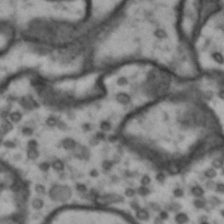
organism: Drosophila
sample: Brain